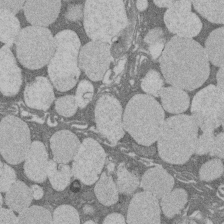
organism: Rat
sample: Salivary granule